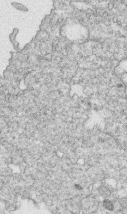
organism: Human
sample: HeLa cell HIV synapse